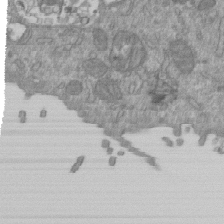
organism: Mouse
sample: ED-1 cell nuclei; centrioles